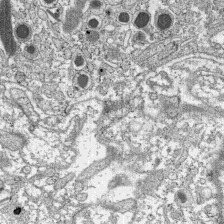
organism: C57BL Mouse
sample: Pancreatic islet